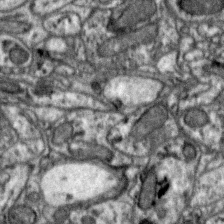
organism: Zebra finch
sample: Brain